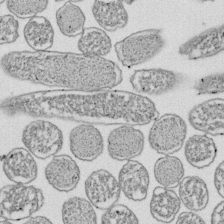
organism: E. coli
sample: Bacterial nucleoid